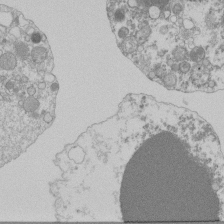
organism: Mouse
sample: Activated Pmel transgenic CD8+ T Cells